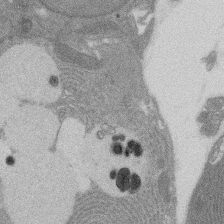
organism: Rat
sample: Salivary granule